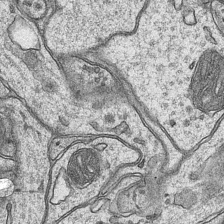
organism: Mouse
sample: CA1 Hippocampus